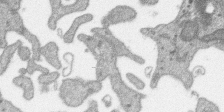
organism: Human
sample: Lung epithelial cells infected with SARS-CoV-2